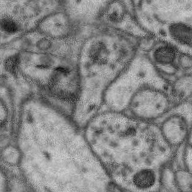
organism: Zebra finch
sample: Brain